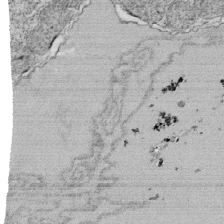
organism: Tetrahymena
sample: Cilia in tetrahymena